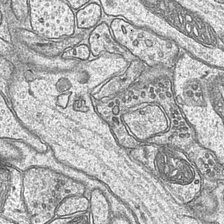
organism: Mouse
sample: CA1 Hippocampus